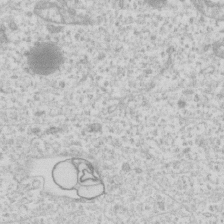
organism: Human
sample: Fibroblast cells